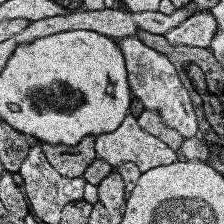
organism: Human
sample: Temporal Lobe